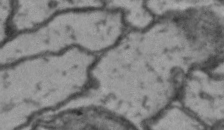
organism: Drosophila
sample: Brain